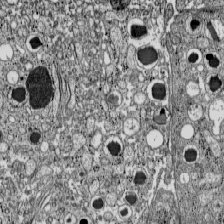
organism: C57BL Mouse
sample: Pancreatic islet